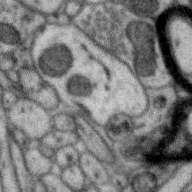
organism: Zebra finch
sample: Brain